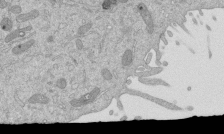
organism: Mouse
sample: ED-1 cell nuclei; centrioles